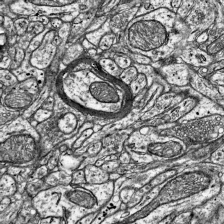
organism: Mouse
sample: Visual Cortex